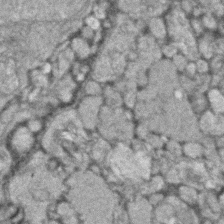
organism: Zebrafish